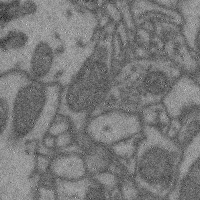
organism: Mouse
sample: Cerebral cortex